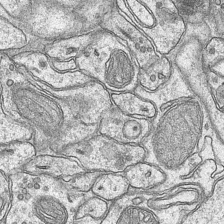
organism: Mouse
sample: CA1 Hippocampus